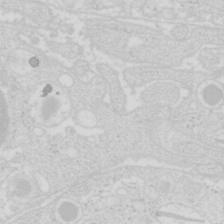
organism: Mouse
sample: Pancreas